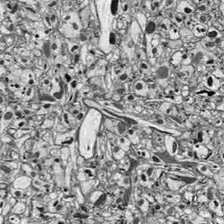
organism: Drosophila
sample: Optic lobe